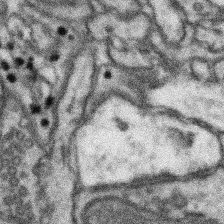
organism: Mouse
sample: Somatosensory cortex neuropil